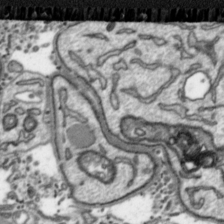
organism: Toxoplasma gondii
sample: Parasites in a vacuole inside a host cell